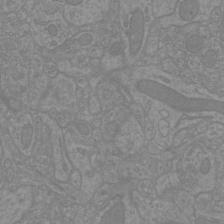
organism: Mouse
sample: Cortical neurons